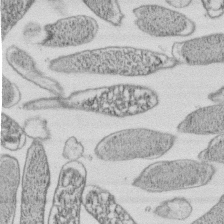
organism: E. coli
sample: Bacterial nucleoid